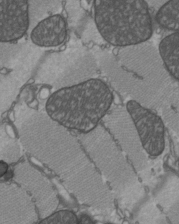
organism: C57BL Mouse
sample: Heart